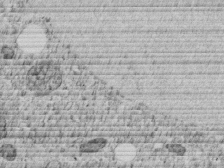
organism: C. elegans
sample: C. elegans embryo early stage